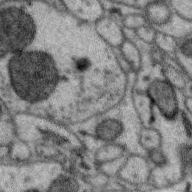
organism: Zebra finch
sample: Brain